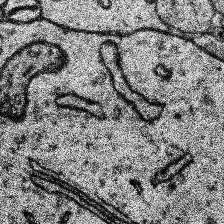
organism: Human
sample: Temporal Lobe